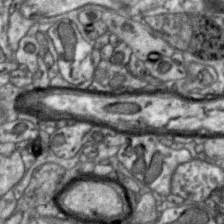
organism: Zebra finch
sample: Brain